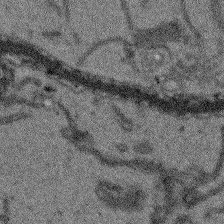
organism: Arabidopsis thaliana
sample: Root tip